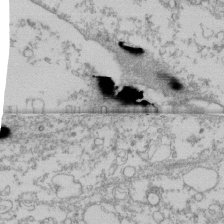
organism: Human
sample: Fibroblast cells